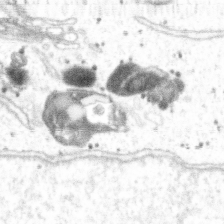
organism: Human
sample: HeLa cells